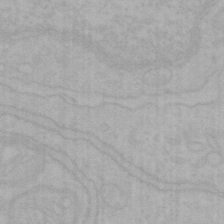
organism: Mouse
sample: Choroid plexus